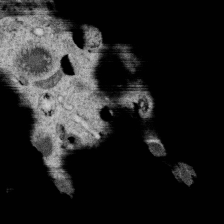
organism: C. elegans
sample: C. elegans oocyte; sperm cells